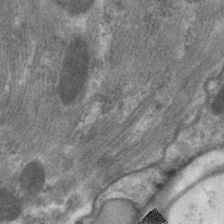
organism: C. elegans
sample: Pharynx